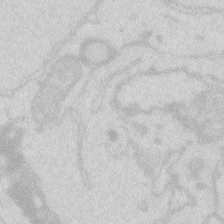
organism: Zebrafish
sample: Macrophage